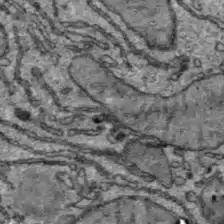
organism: C57BL Mouse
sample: Liver